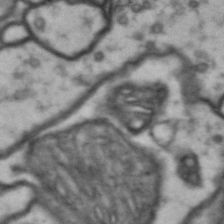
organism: Drosophila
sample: Brain